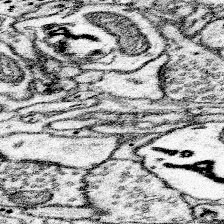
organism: Mouse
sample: Somatosensory cortex neuropil